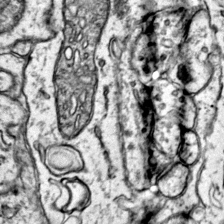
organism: Mouse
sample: Primary visual cortex